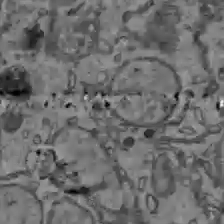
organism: C57BL Mouse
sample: Liver